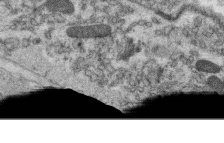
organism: C. elegans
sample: C. elegans oocyte; sperm cells